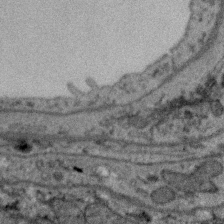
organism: Zebra finch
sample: Brain